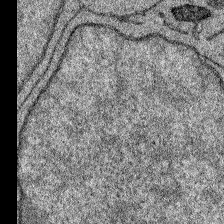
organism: Zebrafish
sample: Larval olfactory bulb